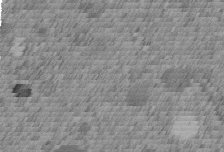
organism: C. elegans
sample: C. elegans embryo early stage